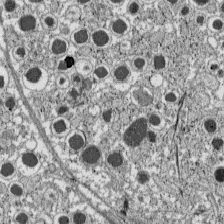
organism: C57BL Mouse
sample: Pancreatic islet